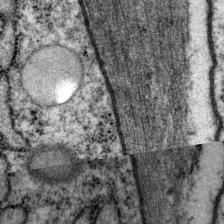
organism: P. pacificus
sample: Pharynx